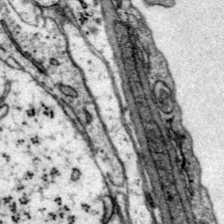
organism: Mouse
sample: Primary visual cortex